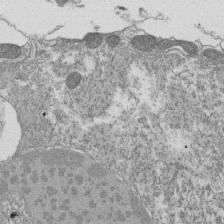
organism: Tetrahymena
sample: Cilia in tetrahymena